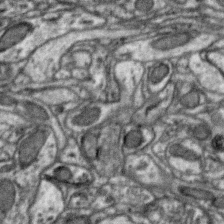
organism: Zebra finch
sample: Brain